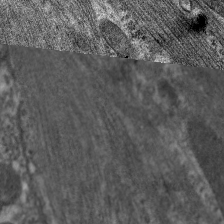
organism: C. elegans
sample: Pharynx